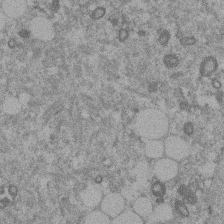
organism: Mouse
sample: Dividing mouse embryo 1 cell stage